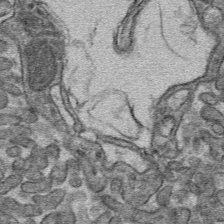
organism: Mouse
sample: Mouse hepatocytes